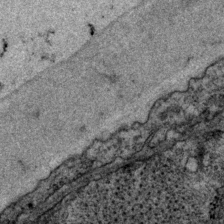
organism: P. pacificus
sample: Pharynx